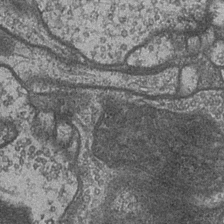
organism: Drosophila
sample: Optic medulla